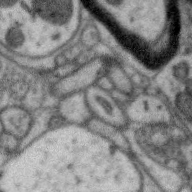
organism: Zebra finch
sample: Brain